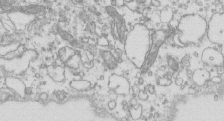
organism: Mouse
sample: Macrophages